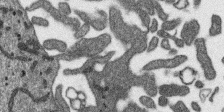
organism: Human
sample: Lung epithelial cells infected with SARS-CoV-2